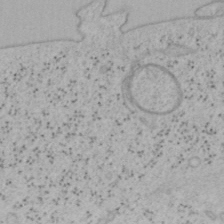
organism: Human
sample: HeLa cells